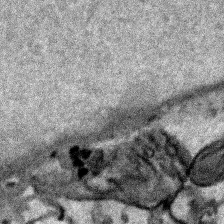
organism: Human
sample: Mitochondria in HCT116 cells